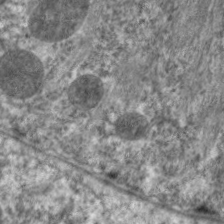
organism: C. elegans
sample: Pharynx